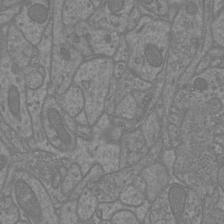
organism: Mouse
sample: Cortical neurons